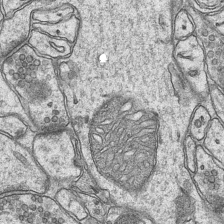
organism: Mouse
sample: CA1 Hippocampus